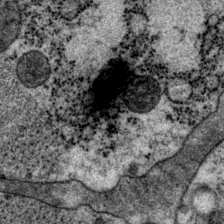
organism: P. pacificus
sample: Pharynx